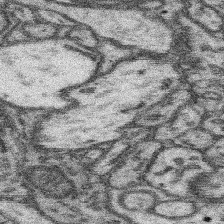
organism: Mouse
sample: Somatosensory cortex neuropil